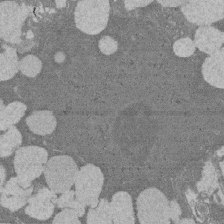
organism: Rat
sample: Salivary granule